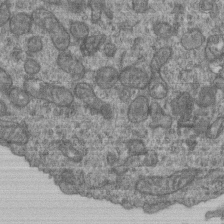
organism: Human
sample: Retinal organoid Rod and Cone cells